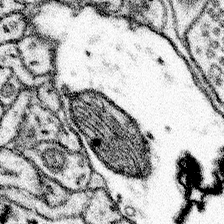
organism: Mouse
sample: Somatosensory cortex neuropil